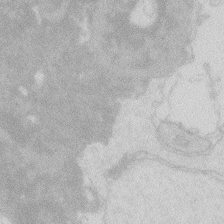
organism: Zebrafish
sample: Macrophage